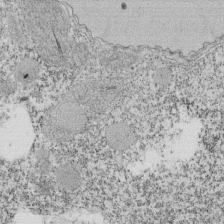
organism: Tetrahymena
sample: Cilia in tetrahymena